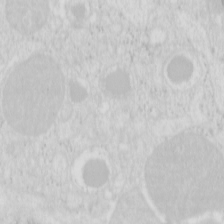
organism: Mouse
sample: Pancreas